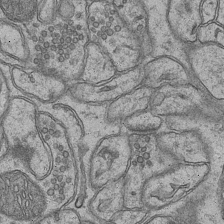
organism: Mouse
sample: CA1 Hippocampus